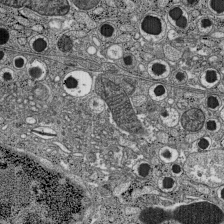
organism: C57BL Mouse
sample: Pancreatic islet